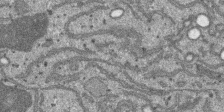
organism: Human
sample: Lung epithelial cells infected with SARS-CoV-2